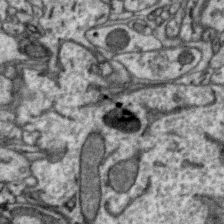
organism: Zebra finch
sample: Brain